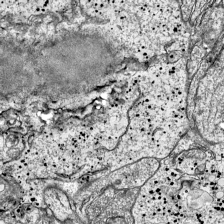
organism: Mouse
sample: Visual Cortex